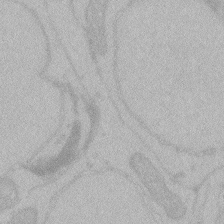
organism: Zebrafish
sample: Macrophage infected with Toxoplasma gondii